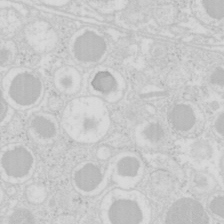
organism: Mouse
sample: Pancreas